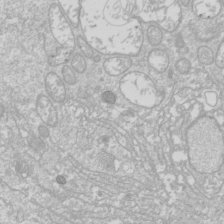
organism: Drosophila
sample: Cell division; meiosis; drosophila spermatocytes